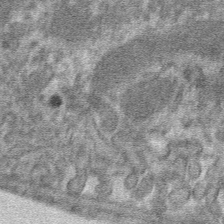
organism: Mouse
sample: Mouse hepatocytes